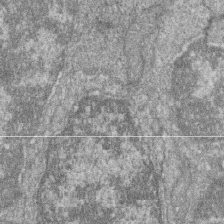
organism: Zebrafish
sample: Cilia; retinal pigment epithelium